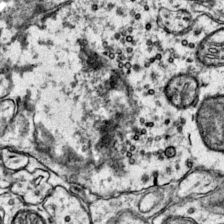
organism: Mouse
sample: Primary visual cortex